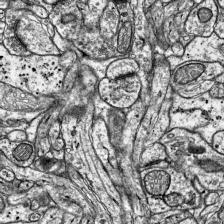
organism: Mouse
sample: Visual Cortex